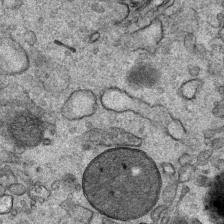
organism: Mouse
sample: Mouse Salivary gland